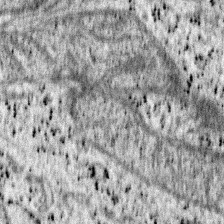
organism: Human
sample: HeLa cells